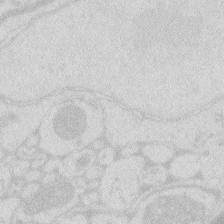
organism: Zebrafish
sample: Macrophage